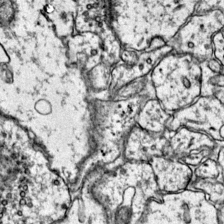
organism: Mouse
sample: Primary visual cortex